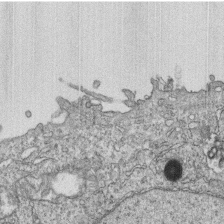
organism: Human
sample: HeLa cell HIV synapse